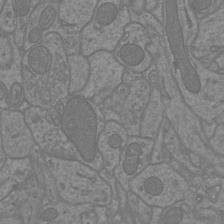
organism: Mouse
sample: Cortical neurons